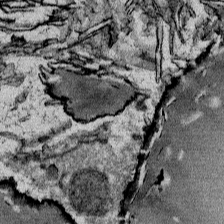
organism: Mouse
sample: Mouse Salivary gland